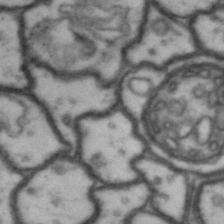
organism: Drosophila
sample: Brain